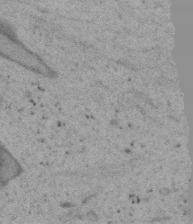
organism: Human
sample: HeLa cells